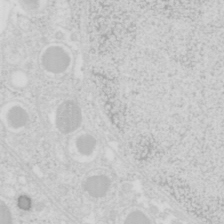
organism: Mouse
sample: Pancreas